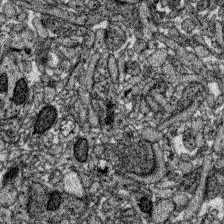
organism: Zebrafish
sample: Larval olfactory bulb